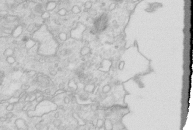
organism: Mouse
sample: Multiciliated cells